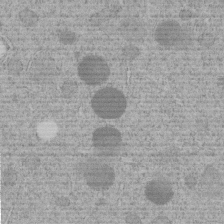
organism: C. elegans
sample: C. elegans embryo early stage